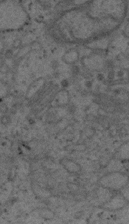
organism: Human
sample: HeLa cells